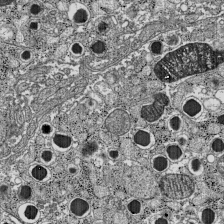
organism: C57BL Mouse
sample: Pancreatic islet